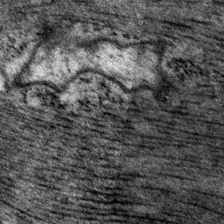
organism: P. pacificus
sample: Pharynx